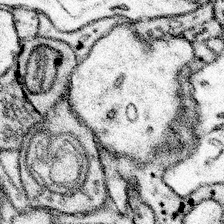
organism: Mouse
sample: Somatosensory cortex neuropil